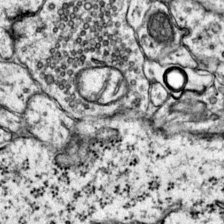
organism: Mouse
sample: Primary visual cortex